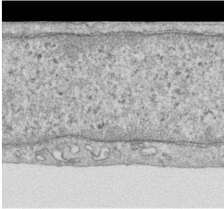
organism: Human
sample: Centriole in RPE cells